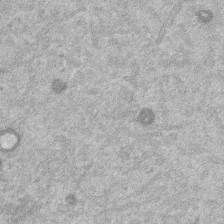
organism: Mouse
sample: Dividing mouse embryo 1 cell stage